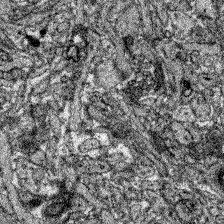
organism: Zebrafish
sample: Larval olfactory bulb